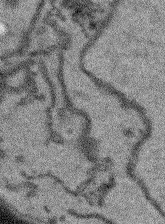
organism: Arabidopsis thaliana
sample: Root tip